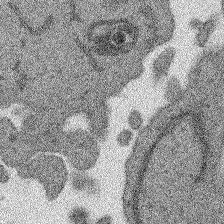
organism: Human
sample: HeLa cells